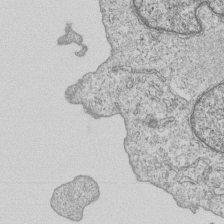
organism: Human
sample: MDA-MB-231 cells